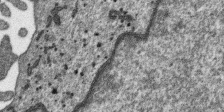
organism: Human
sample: Lung epithelial cells infected with SARS-CoV-2